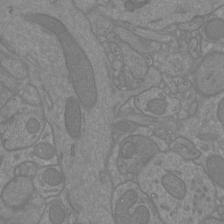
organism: Mouse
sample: Cortical neurons